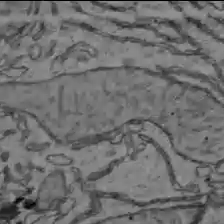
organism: C57BL Mouse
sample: Liver